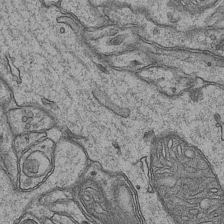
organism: Mouse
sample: CA1 Hippocampus